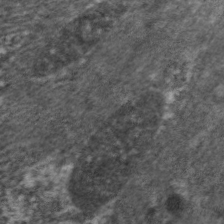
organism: C. elegans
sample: Pharynx